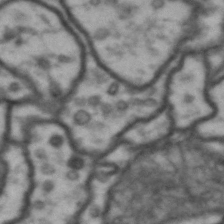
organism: Drosophila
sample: Brain